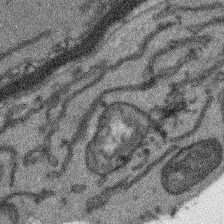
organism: Arabidopsis thaliana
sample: Root tip